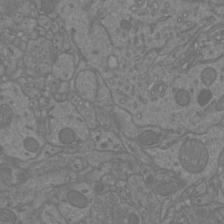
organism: Mouse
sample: Cortical neurons